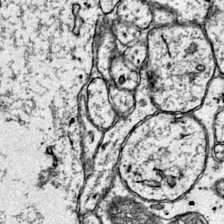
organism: Mouse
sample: Primary visual cortex